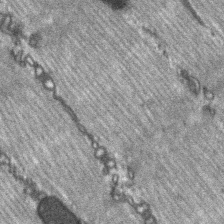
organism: C57BL Mouse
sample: Soleus